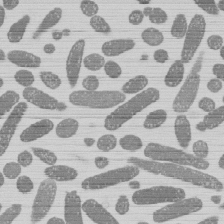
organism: E. coli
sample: Bacterial nucleoid